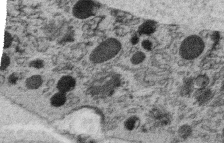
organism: C. elegans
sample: C. elegans oocyte; sperm cells